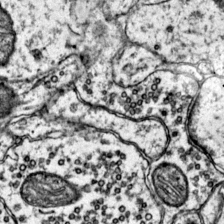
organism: Mouse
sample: Primary visual cortex